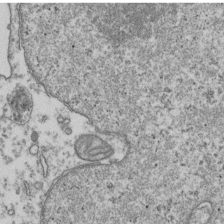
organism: Human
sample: Activated Jurkat CD4+ T cells